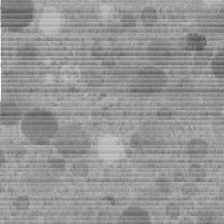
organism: C. elegans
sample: C. elegans embryo early stage